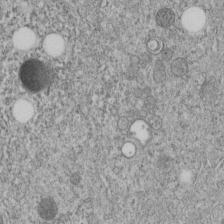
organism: C. elegans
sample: C. elegans embryo early stage